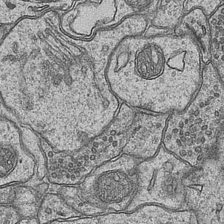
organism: Mouse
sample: CA1 Hippocampus